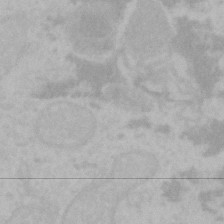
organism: Mouse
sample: Choroid plexus